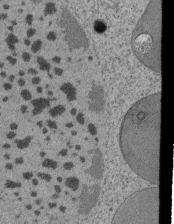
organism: Tetrahymena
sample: Cilia in tetrahymena